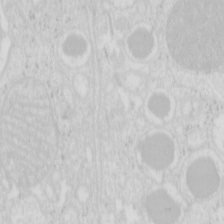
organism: Mouse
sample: Pancreas